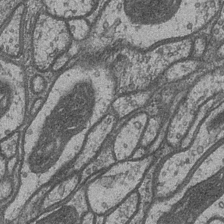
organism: Drosophila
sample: Optic medulla